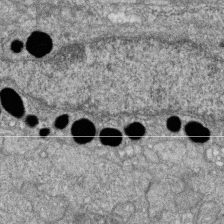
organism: Zebrafish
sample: Cilia; retinal pigment epithelium